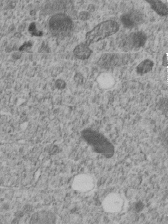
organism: C. elegans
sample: C. elegans embryo early stage